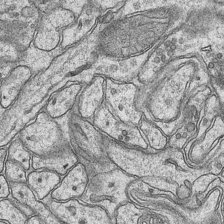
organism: Mouse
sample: CA1 Hippocampus